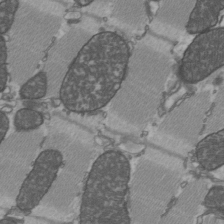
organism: C57BL Mouse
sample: Heart